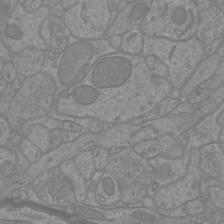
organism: Mouse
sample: Cortical neurons